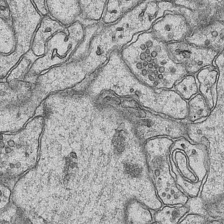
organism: Mouse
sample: CA1 Hippocampus